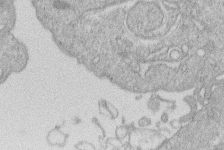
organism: Human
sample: Macrophage cells